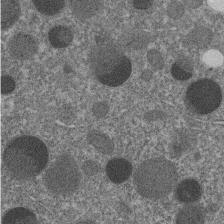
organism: C. elegans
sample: C. elegans embryo early stage